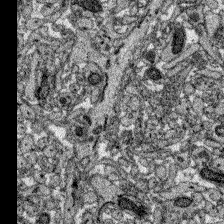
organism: Zebrafish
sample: Larval olfactory bulb